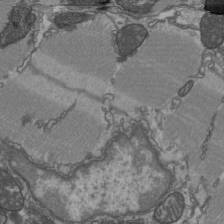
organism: C57BL Mouse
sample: Heart